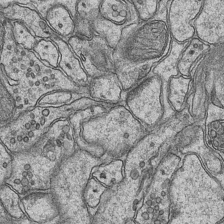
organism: Mouse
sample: CA1 Hippocampus